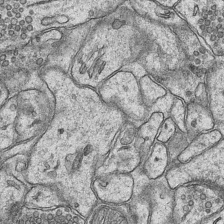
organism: Mouse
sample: CA1 Hippocampus